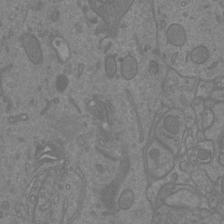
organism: Mouse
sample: Cortical neurons